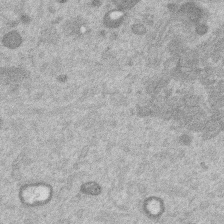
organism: Mouse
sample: Dividing mouse embryo 1 cell stage